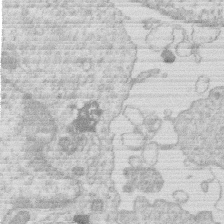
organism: Human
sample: Macrophage cells